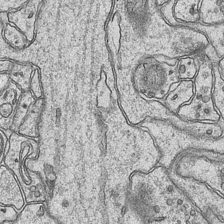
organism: Mouse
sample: CA1 Hippocampus